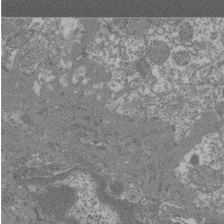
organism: Mouse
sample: Glomerulus